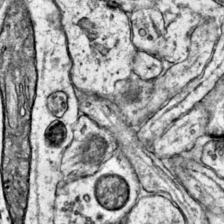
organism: Mouse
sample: Primary visual cortex